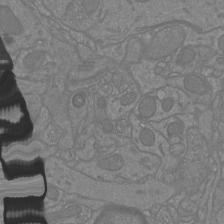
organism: Mouse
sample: Cortical neurons